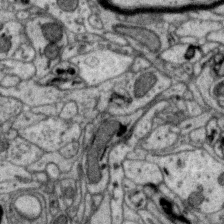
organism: Zebra finch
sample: Brain